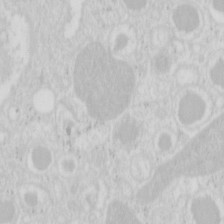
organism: Mouse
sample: Pancreas